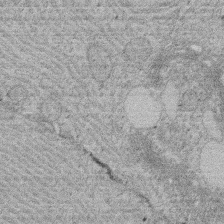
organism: Rat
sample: Salivary granule